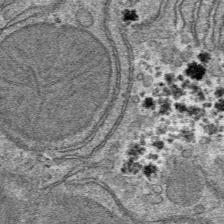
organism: Mouse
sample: Mouse hepatocytes